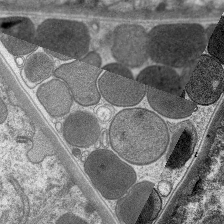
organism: C. elegans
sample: Pharynx